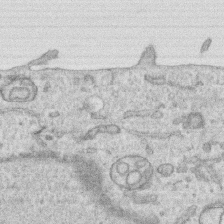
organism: Human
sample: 1205lu cells